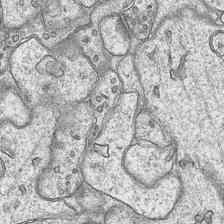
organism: Mouse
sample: CA1 Hippocampus